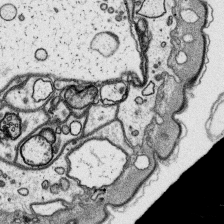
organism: Platynereis dumerilii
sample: Parapodia